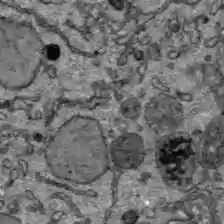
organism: C57BL Mouse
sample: Liver